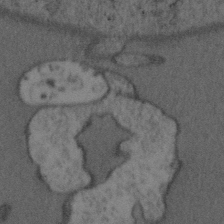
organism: Human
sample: HeLa cells